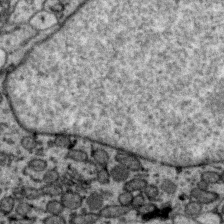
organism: Zebra finch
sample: Brain